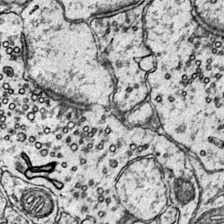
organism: Mouse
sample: Primary visual cortex